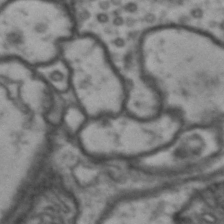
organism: Drosophila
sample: Brain